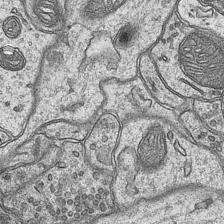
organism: Mouse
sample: CA1 Hippocampus